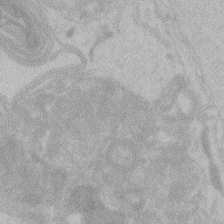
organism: Zebrafish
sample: Macrophage infected with Toxoplasma gondii